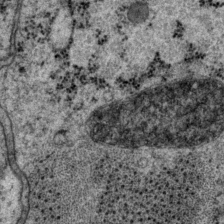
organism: P. pacificus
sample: Pharynx